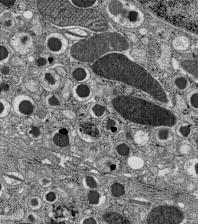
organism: C57BL Mouse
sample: Pancreatic islet